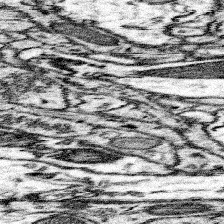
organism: Mouse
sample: Somatosensory cortex neuropil